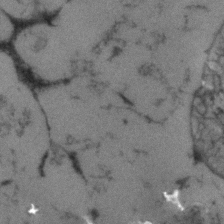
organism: Human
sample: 1205lu cells